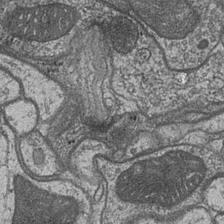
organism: Drosophila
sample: Optic medulla